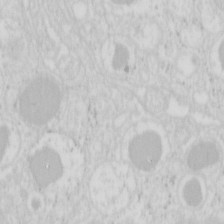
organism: Mouse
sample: Pancreas